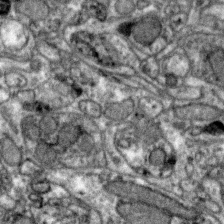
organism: Zebra finch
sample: Brain